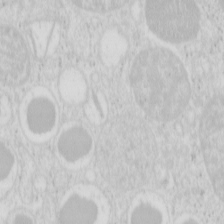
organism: Mouse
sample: Pancreas